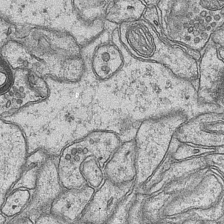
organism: Mouse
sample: CA1 Hippocampus